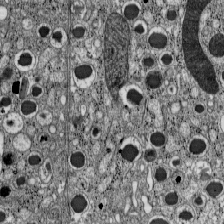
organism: C57BL Mouse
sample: Pancreatic islet